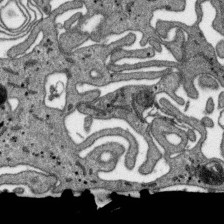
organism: Human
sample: Lung epithelial cells, uninfected (mock) control